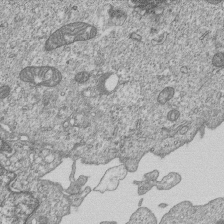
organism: Human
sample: MDA-MB-231 cells